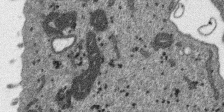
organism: Human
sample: Lung epithelial cells infected with SARS-CoV-2